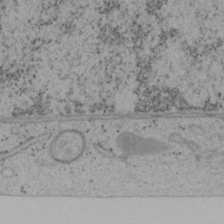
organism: Human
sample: HeLa cells